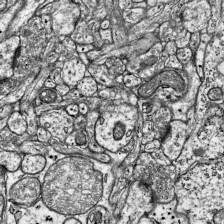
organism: Mouse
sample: Visual Cortex